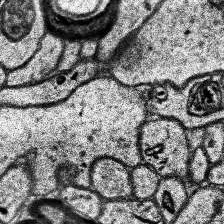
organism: Human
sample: Temporal Lobe